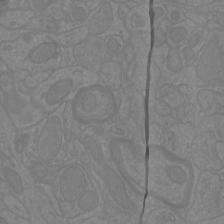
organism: Mouse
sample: Cortical neurons